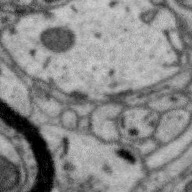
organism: Zebra finch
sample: Brain